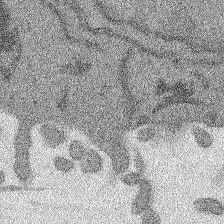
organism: Human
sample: HeLa cells